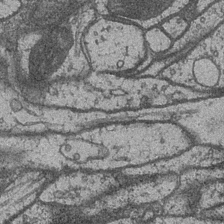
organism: Drosophila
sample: Optic medulla